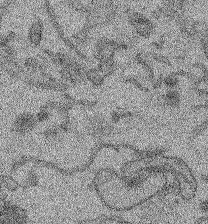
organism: Human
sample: HeLa cells